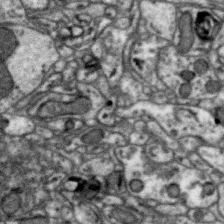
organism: Zebra finch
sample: Brain